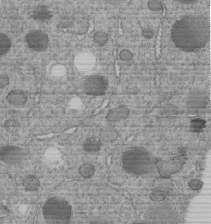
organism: C. elegans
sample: C. elegans embryo early stage